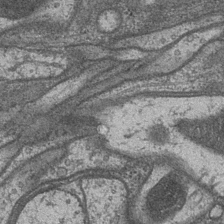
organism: Drosophila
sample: Optic medulla